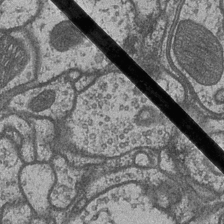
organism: Drosophila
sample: Optic medulla